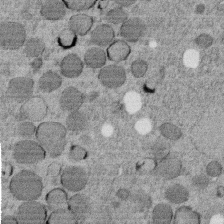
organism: C. elegans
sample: C. elegans embryo early stage